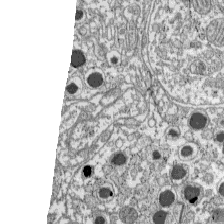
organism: C57BL Mouse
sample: Pancreatic islet